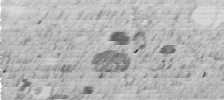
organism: C. elegans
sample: C. elegans embryo early stage